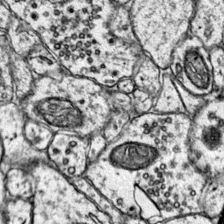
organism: Mouse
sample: Primary visual cortex